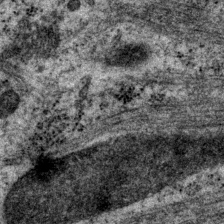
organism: P. pacificus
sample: Pharynx